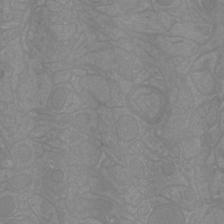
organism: Mouse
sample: Cortical neurons